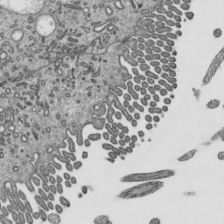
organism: Mouse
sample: Mouse epididymis efferent ductule cilia